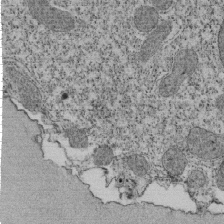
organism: Tetrahymena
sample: Cilia in tetrahymena